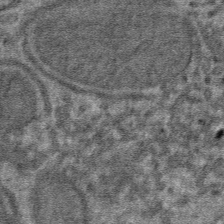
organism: Mouse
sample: Mouse hepatocytes